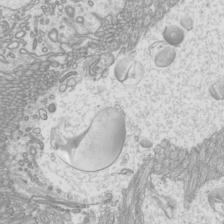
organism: Mouse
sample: Cilia; mouse epididymis